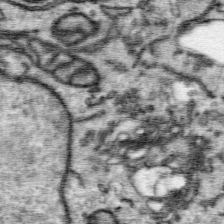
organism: Human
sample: HeLa cells